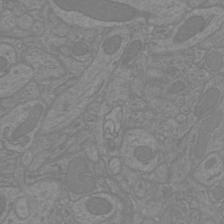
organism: Mouse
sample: Cortical neurons